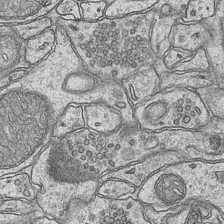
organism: Mouse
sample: CA1 Hippocampus